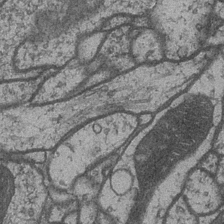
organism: Drosophila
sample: Optic medulla